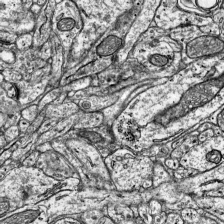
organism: Mouse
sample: Visual Cortex